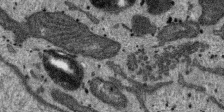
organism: Human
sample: Lung epithelial cells, uninfected (mock) control